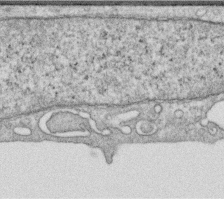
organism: Human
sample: Centriole in RPE cells